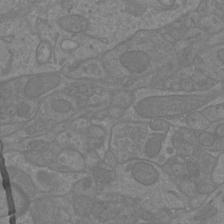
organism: Mouse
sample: Cortical neurons